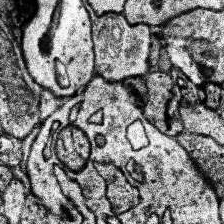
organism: Human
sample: Temporal Lobe